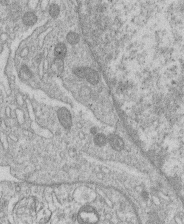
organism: Human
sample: Macrophage cells